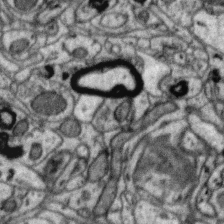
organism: Zebra finch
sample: Brain